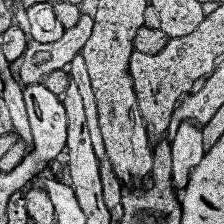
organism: Human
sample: Temporal Lobe